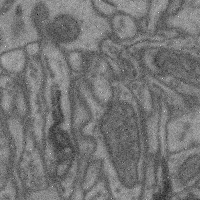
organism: Mouse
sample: Cerebral cortex